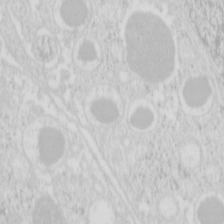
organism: Mouse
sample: Pancreas